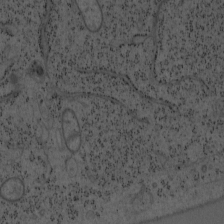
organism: Mouse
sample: OT-I killer T cells with ID8 ovarian cancer cells